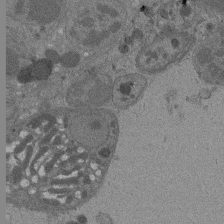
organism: Drosophila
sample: Antenna